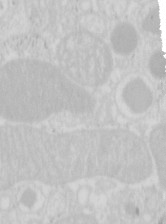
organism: Mouse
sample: Pancreas